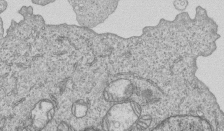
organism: Human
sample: MDA-MB-231 cells